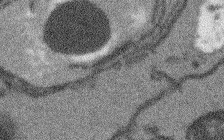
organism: Arabidopsis thaliana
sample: Root tip